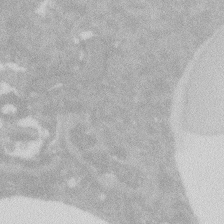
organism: Zebrafish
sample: Macrophage